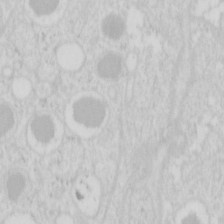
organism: Mouse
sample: Pancreas